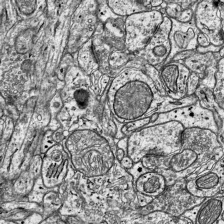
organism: Mouse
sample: Visual Cortex